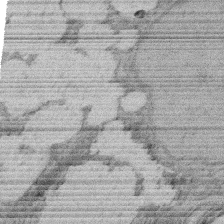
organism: Rat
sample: Salivary granule